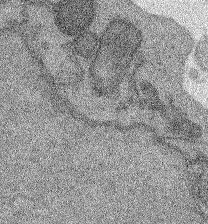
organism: Human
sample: HeLa cells